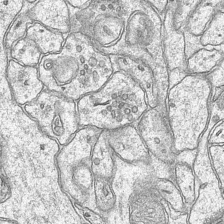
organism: Mouse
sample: CA1 Hippocampus